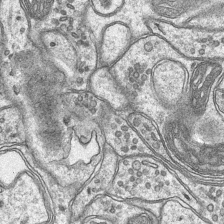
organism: Mouse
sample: CA1 Hippocampus